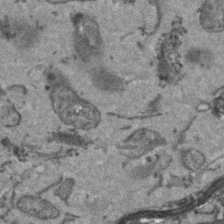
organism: Arabidopsis thaliana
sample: Root tip